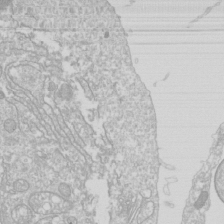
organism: Drosophila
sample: Cell division; meiosis; drosophila spermatocytes